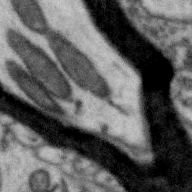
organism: Zebra finch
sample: Brain